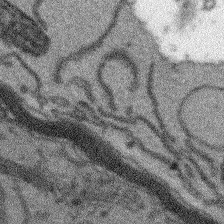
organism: Arabidopsis thaliana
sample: Root tip